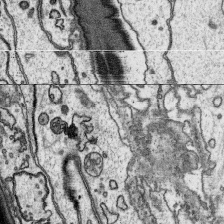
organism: Platynereis dumerilii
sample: Parapodia